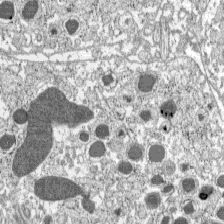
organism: C57BL Mouse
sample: Pancreatic islet